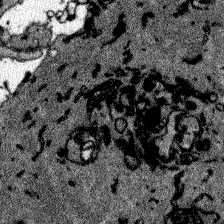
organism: Zebrafish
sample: Larval olfactory bulb